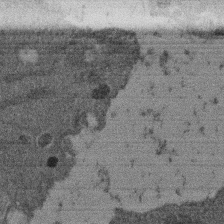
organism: Mouse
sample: Dividing mouse embryo 1 cell stage